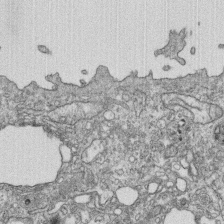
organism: Human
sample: HeLa cell HIV synapse